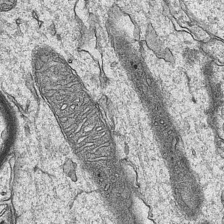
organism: Mouse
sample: CA1 Hippocampus